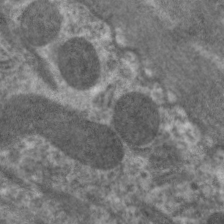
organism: C. elegans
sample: Pharynx